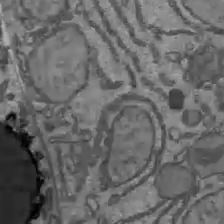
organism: C57BL Mouse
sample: Liver